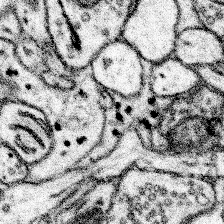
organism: Mouse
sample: Somatosensory cortex neuropil